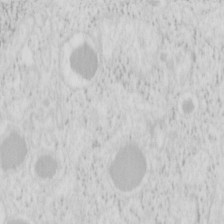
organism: Mouse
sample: Pancreas